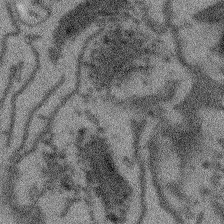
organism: Arabidopsis thaliana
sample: Root tip